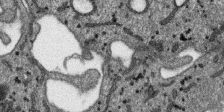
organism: Human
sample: Lung epithelial cells infected with SARS-CoV-2